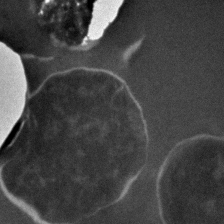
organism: C. elegans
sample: C. elegans embryo